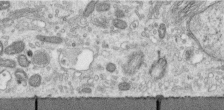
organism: Human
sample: Centriole in RPE cells